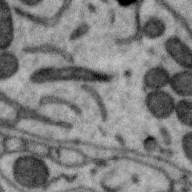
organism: Zebra finch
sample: Brain